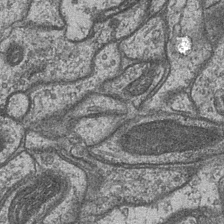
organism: Drosophila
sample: Optic medulla